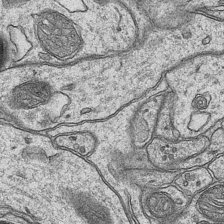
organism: Mouse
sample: CA1 Hippocampus